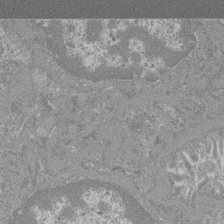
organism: Mouse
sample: Glomerulus